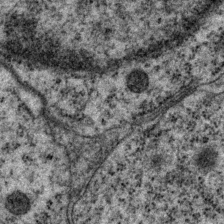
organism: P. pacificus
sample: Pharynx